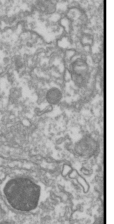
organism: Drosophila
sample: Cell division; meiosis; drosophila spermatocytes